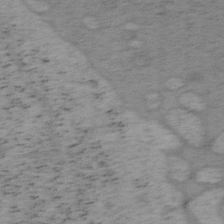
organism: Mouse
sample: OT-I killer T cells with ID8 ovarian cancer cells